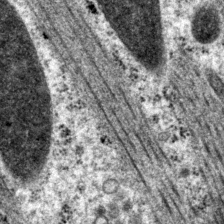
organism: P. pacificus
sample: Pharynx